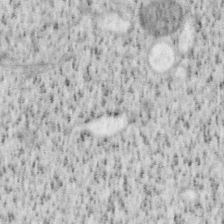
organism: Mouse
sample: OT-I killer T cells with ID8 ovarian cancer cells